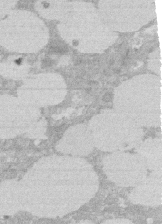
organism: Rat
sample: Salivary granule